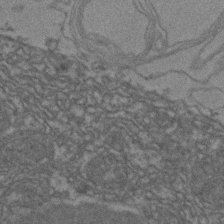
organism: Zebrafish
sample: Zebrafish embryo